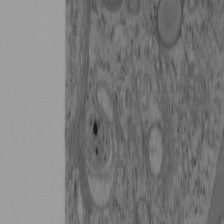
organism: Human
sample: HeLa cells